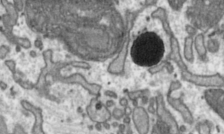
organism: Toxoplasma gondii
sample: Parasites in a vacuole inside a host cell